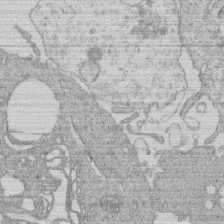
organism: Human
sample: Macrophage cells